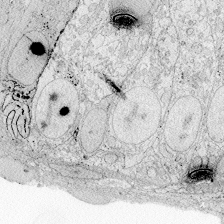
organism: Zebrafish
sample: Whole-Brain